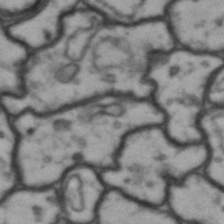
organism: Drosophila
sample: Brain